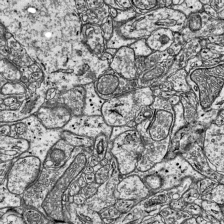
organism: Mouse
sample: Visual Cortex